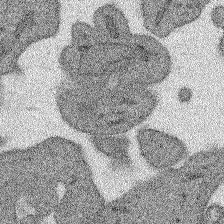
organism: Human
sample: HeLa cells